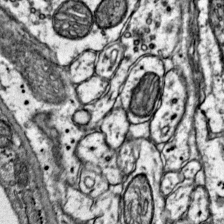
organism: Mouse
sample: Primary visual cortex